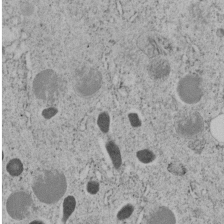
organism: C. elegans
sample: C. elegans embryo early stage